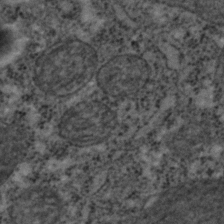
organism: C. elegans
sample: C. elegans embryo